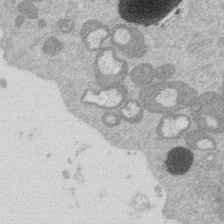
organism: Mouse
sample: Dividing mouse embryo 1 cell stage